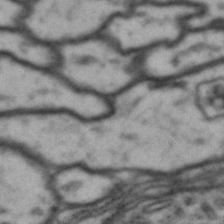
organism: Drosophila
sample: Brain